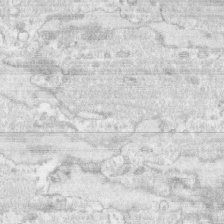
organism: Human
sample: CRL-1474